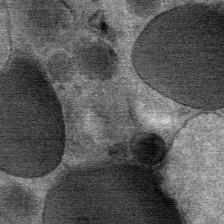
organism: Mouse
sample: Mouse Salivary gland